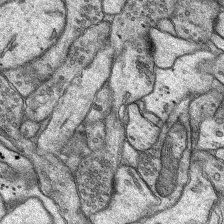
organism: Rat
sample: Hippocampus